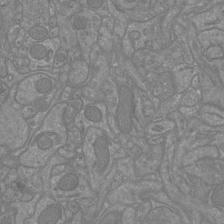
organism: Mouse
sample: Cortical neurons